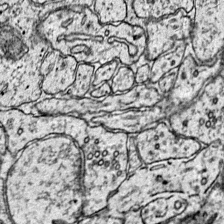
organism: Mouse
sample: Primary visual cortex